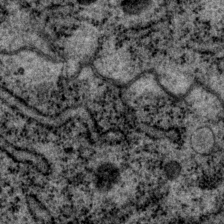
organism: P. pacificus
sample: Pharynx